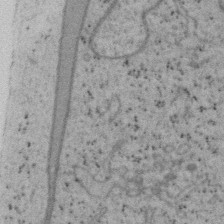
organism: Human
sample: HeLa cells